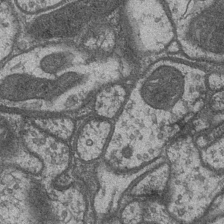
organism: Drosophila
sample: Optic medulla